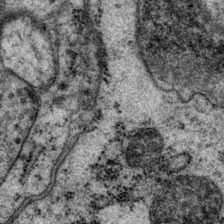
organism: P. pacificus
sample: Pharynx